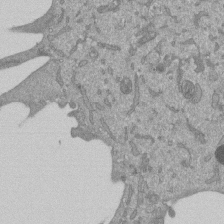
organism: Mouse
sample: ED-1 cell nuclei; centrioles